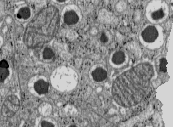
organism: C57BL Mouse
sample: Pancreatic islet